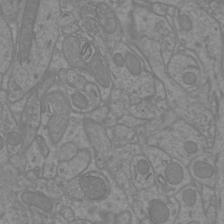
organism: Mouse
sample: Cortical neurons